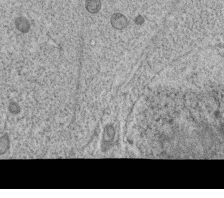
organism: C. elegans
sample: C. elegans oocyte; sperm cells